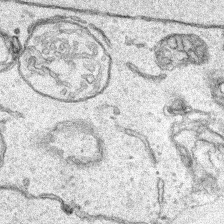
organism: Human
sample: Mitochondria in HCT116 cells